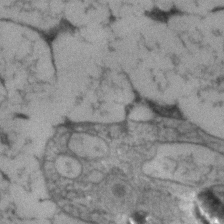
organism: Human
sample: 1205lu cells